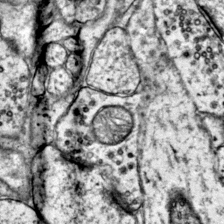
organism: Mouse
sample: Primary visual cortex